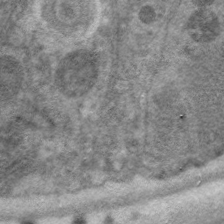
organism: C. elegans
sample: Pharynx